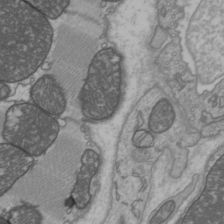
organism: C57BL Mouse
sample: Heart